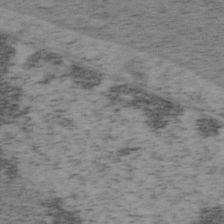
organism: Mouse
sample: OT-I killer T cells with ID8 ovarian cancer cells